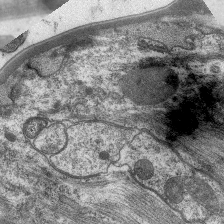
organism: C. elegans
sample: Pharynx